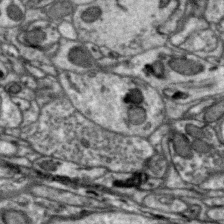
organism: Zebra finch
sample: Brain